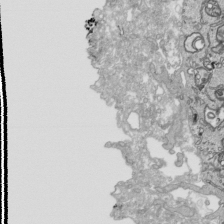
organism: Human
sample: Mitochondria in HCT116 cells